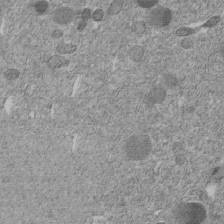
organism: C. elegans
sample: C. elegans embryo early stage